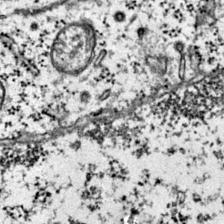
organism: Mouse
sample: Primary visual cortex